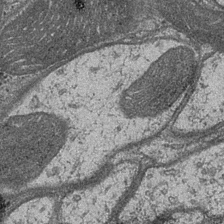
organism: Drosophila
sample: Optic medulla